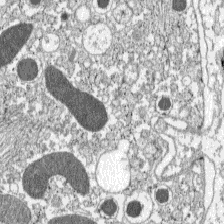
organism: C57BL Mouse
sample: Pancreatic islet